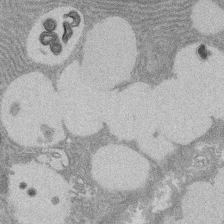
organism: Rat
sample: Salivary granule